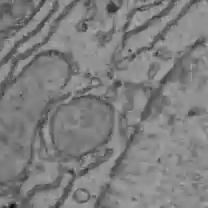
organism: C57BL Mouse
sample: Liver